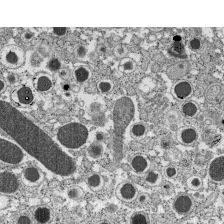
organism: C57BL Mouse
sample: Pancreatic islet